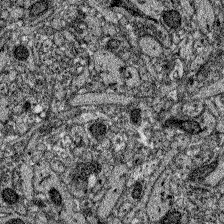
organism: Zebrafish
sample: Larval olfactory bulb